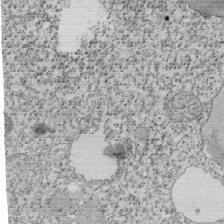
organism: Tetrahymena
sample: Cilia in tetrahymena